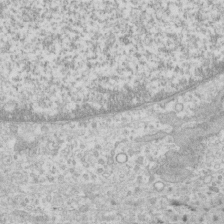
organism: Human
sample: CRL-1474